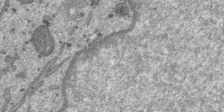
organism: Human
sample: Lung epithelial cells infected with SARS-CoV-2